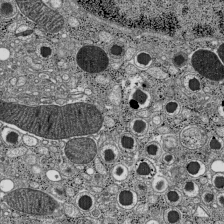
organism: C57BL Mouse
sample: Pancreatic islet